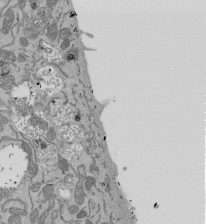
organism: Mouse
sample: ED-1 cell nuclei; centrioles